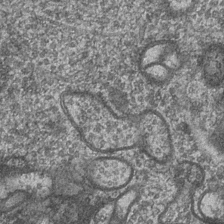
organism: Drosophila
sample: Optic medulla